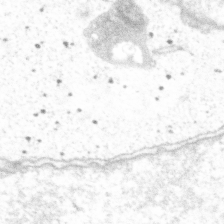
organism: Human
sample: HeLa cells